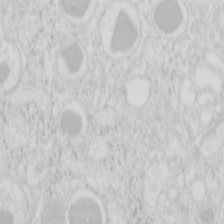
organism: Mouse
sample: Pancreas